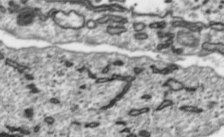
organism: Toxoplasma gondii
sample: Parasites in a vacuole inside a host cell